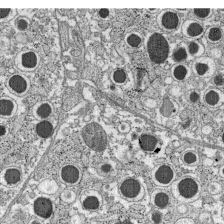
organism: C57BL Mouse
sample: Pancreatic islet